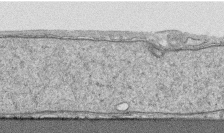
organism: Human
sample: CRL-1474